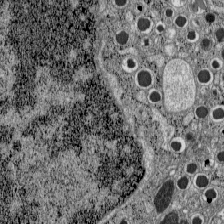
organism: C57BL Mouse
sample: Pancreatic islet